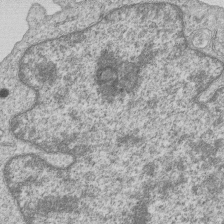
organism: Human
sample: MDA-MB-231 cells